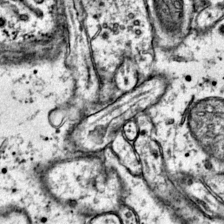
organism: Mouse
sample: Primary visual cortex